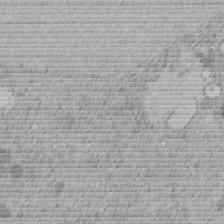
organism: C. elegans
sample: C. elegans embryo early stage